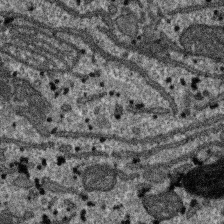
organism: Human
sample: Lung epithelial cells infected with SARS-CoV-2